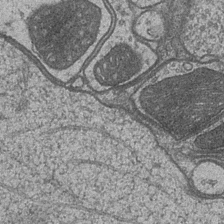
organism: Drosophila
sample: Optic medulla